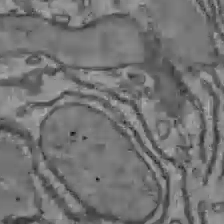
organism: C57BL Mouse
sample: Liver